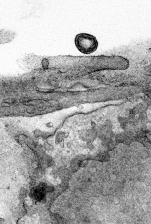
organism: Human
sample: Mitochondria in HCT116 cells